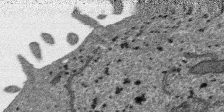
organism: Human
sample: Lung epithelial cells infected with SARS-CoV-2